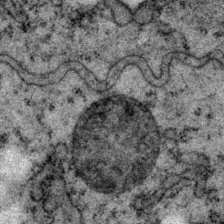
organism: P. pacificus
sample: Pharynx